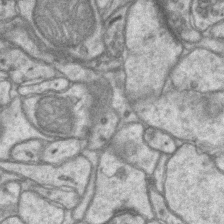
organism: Mouse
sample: CA1 Hippocampus